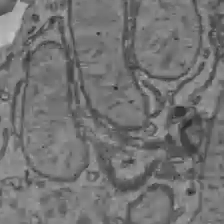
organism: C57BL Mouse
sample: Liver